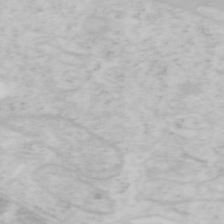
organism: Mouse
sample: OT-I killer T cells with ID8 ovarian cancer cells